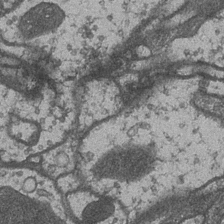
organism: Drosophila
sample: Optic medulla